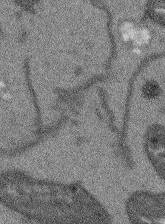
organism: Arabidopsis thaliana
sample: Root tip